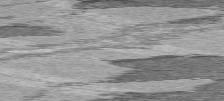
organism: C57BL Mouse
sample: Heart